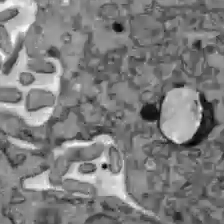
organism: C57BL Mouse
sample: Liver